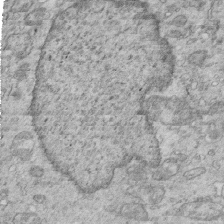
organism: Mouse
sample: Multiciliated cells